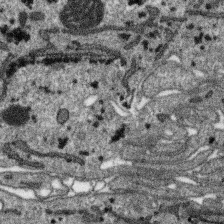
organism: Human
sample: Lung epithelial cells infected with SARS-CoV-2